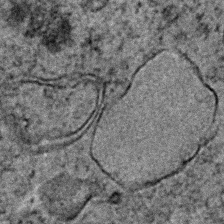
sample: Trachea